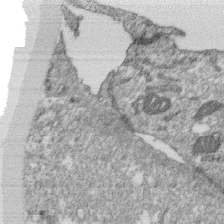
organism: African green monkey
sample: Vero E6 cells infected with SARS-CoV-2